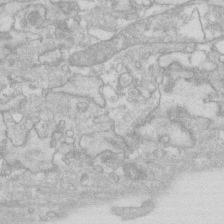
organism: Human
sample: Fibroblast cells